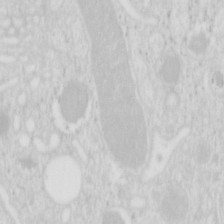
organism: Mouse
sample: Pancreas